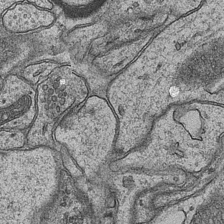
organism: Mouse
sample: CA1 Hippocampus